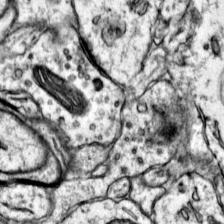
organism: Mouse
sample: Primary visual cortex